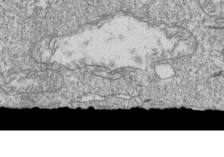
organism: Human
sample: HeLa cell HIV synapse